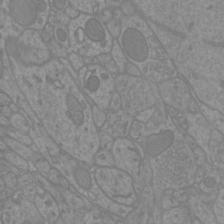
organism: Mouse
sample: Cortical neurons